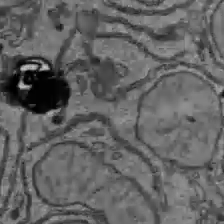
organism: C57BL Mouse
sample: Liver